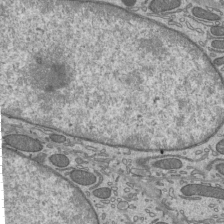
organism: Mouse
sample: Mouse epididymis efferent ductule cilia